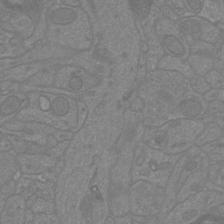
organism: Mouse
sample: Cortical neurons